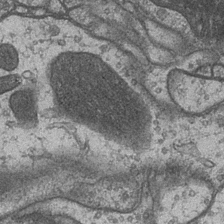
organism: Drosophila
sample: Optic medulla